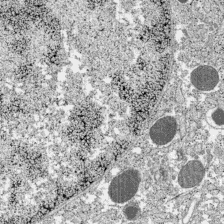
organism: C57BL Mouse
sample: Pancreatic islet